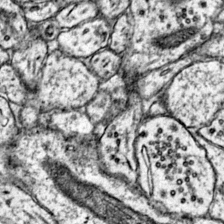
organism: Mouse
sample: Primary visual cortex